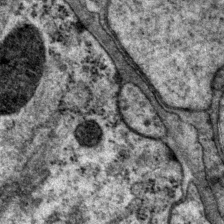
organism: P. pacificus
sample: Pharynx